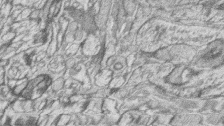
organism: Zebrafish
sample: synaptic ribbons in rod cells and cone cells